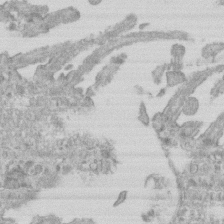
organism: Mouse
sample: Centriole in ependymal cells